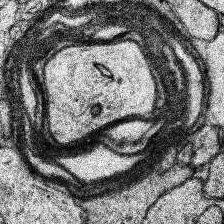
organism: Human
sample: Temporal Lobe